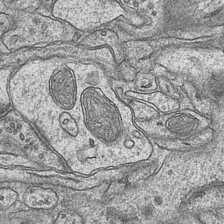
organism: Mouse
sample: CA1 Hippocampus